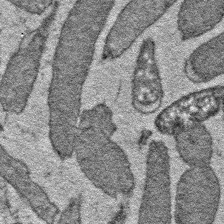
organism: E. coli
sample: E. Coli Bacteria